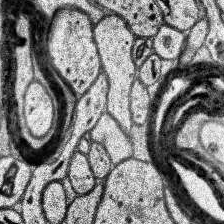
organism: Human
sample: Temporal Lobe